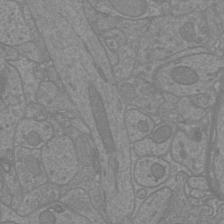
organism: Mouse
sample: Cortical neurons